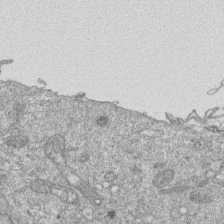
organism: Human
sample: HeLa cell HIV synapse